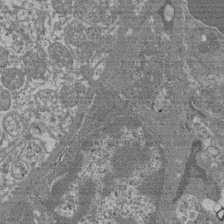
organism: Mouse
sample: Glomerulus